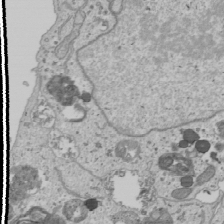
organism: Human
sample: Mitochondria in U2OS cells